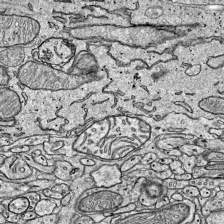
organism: Mouse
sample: Visual Cortex